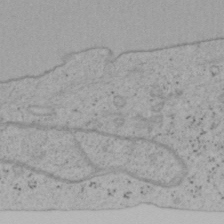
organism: Human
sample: HeLa cells